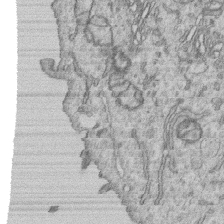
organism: Human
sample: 1205lu cells